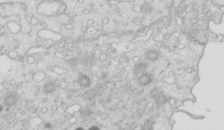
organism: Mouse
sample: Multiciliated cells